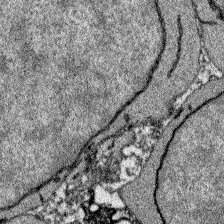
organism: Zebrafish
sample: Larval olfactory bulb